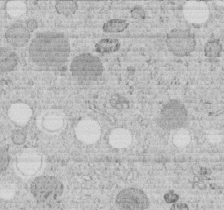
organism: C. elegans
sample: C. elegans embryo early stage